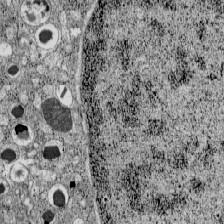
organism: C57BL Mouse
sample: Pancreatic islet